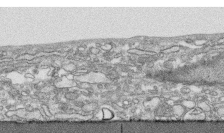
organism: Human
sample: CRL-1474